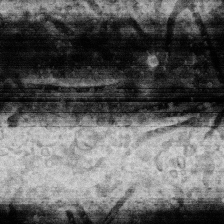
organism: Human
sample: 1205lu cells